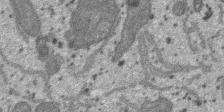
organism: Human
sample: Lung epithelial cells infected with SARS-CoV-2